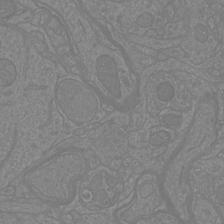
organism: Mouse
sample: Cortical neurons